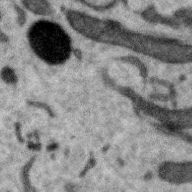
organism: Zebra finch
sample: Brain